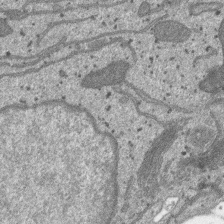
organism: Human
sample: Lung epithelial cells infected with SARS-CoV-2